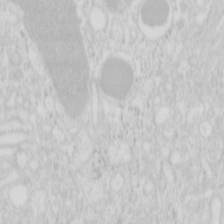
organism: Mouse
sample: Pancreas